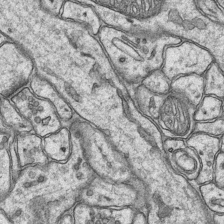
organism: Mouse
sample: CA1 Hippocampus